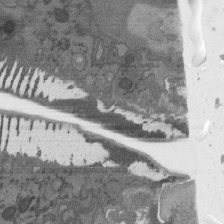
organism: C. elegans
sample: AFD neurons C. elegans